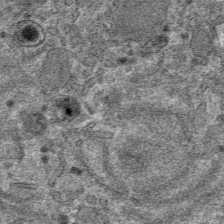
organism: Mouse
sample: Mouse hepatocytes